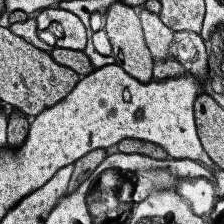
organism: Human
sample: Temporal Lobe